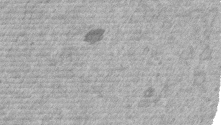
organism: Mouse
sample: Dividing mouse embryo 1 cell stage